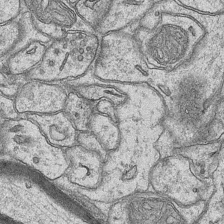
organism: Mouse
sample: CA1 Hippocampus